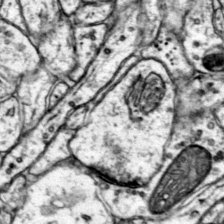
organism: Mouse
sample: Primary visual cortex